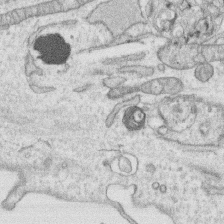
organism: Human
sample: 1205lu cells